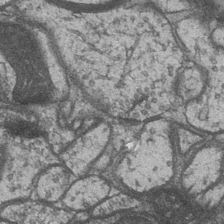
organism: Drosophila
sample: Optic medulla